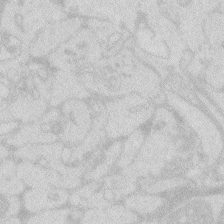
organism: Zebrafish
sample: Macrophage